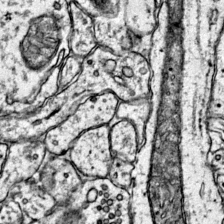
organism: Mouse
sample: Primary visual cortex